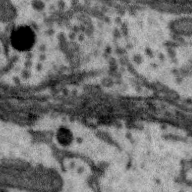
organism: Zebra finch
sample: Brain